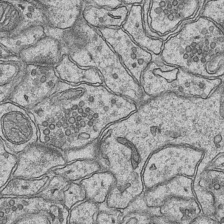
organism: Mouse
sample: CA1 Hippocampus